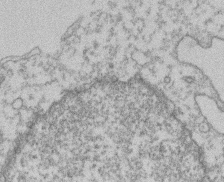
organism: Mouse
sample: T cell stromal cell synapse